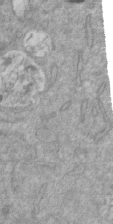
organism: Mouse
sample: ED-1 cell nuclei; centrioles